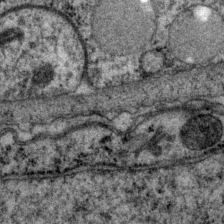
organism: P. pacificus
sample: Pharynx